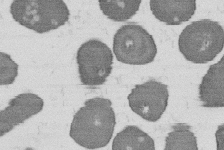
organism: B. subtilis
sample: Bacterial spore